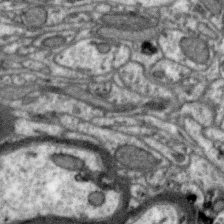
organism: Zebra finch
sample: Brain